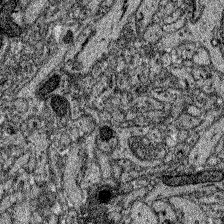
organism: Zebrafish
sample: Larval olfactory bulb